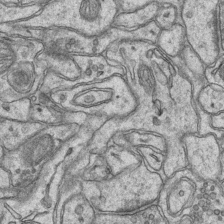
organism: Mouse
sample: CA1 Hippocampus